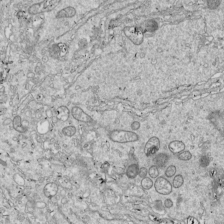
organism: Drosophila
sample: Cell division; meiosis; drosophila spermatocytes